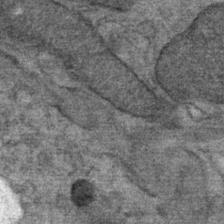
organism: Mouse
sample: Mouse Salivary gland